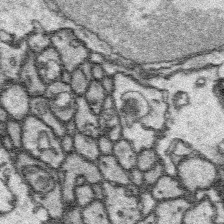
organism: Platynereis dumerilii